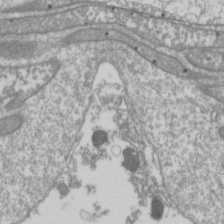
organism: Drosophila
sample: Cell division; meiosis; drosophila spermatocytes